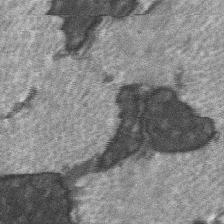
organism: C57BL Mouse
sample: Soleus